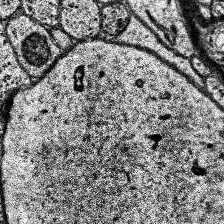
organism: Human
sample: Temporal Lobe